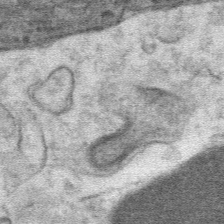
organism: Mouse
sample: Mouse hepatocytes